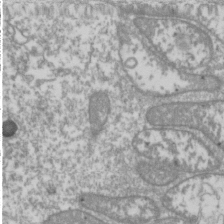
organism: Drosophila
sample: Cell division; meiosis; drosophila spermatocytes